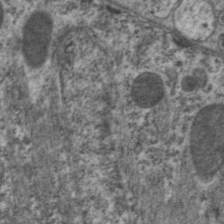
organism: C. elegans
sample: Pharynx